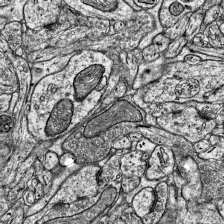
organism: Mouse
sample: Visual Cortex